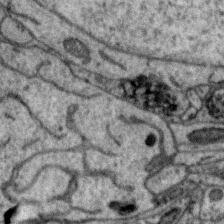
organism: Zebra finch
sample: Brain